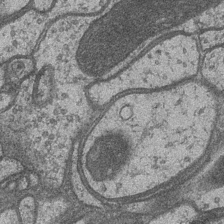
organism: Drosophila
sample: Optic medulla